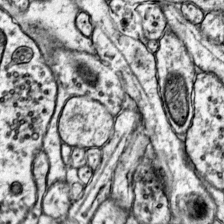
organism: Mouse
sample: Primary visual cortex